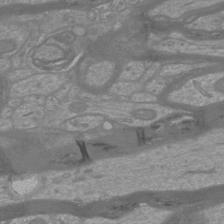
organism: Mouse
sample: Cortical neurons